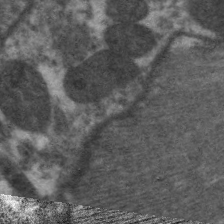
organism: C. elegans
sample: Pharynx